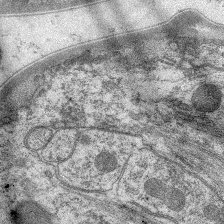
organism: C. elegans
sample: Pharynx